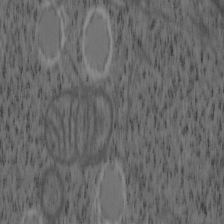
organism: Human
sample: HeLa cells